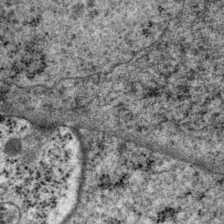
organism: P. pacificus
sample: Pharynx